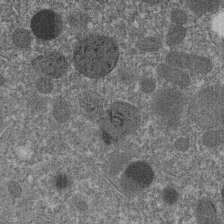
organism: C. elegans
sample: C. elegans embryo early stage